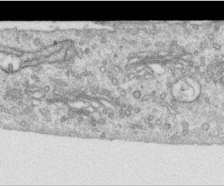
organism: Human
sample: Centriole in RPE cells